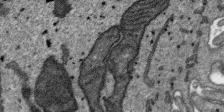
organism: Human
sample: Lung epithelial cells, uninfected (mock) control